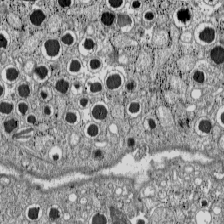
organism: C57BL Mouse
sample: Pancreatic islet